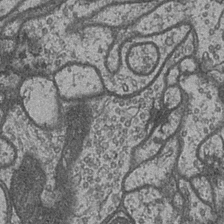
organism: Drosophila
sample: Optic medulla